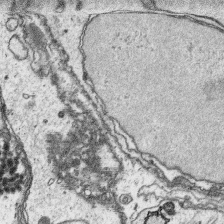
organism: Platynereis dumerilii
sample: Parapodia